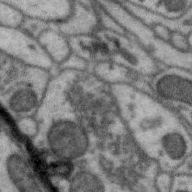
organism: Zebra finch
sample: Brain